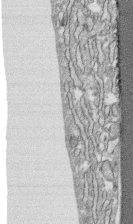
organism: Human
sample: CRL-1474